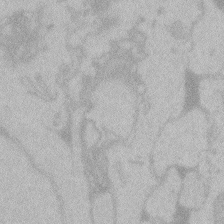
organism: Zebrafish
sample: Macrophage infected with Toxoplasma gondii